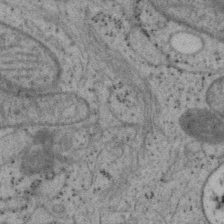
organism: Human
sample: HeLa cells